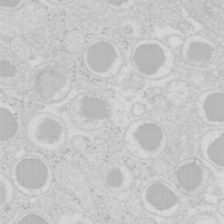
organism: Mouse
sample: Pancreas